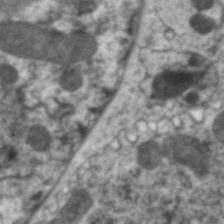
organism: C. elegans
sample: Pharynx